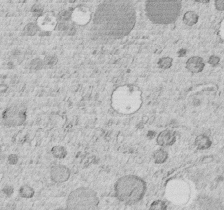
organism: C. elegans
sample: C. elegans embryo early stage